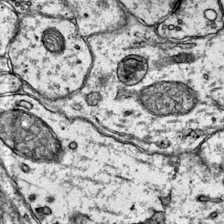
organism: Mouse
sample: Primary visual cortex